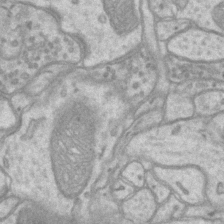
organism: Mouse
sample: CA1 Hippocampus